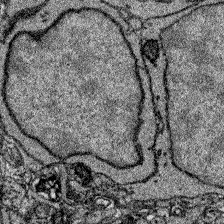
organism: Zebrafish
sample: Larval olfactory bulb